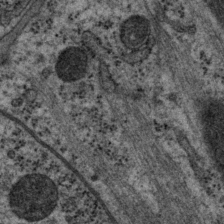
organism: P. pacificus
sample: Pharynx